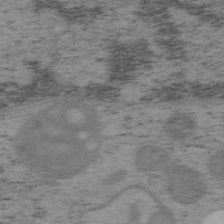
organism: Mouse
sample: OT-I killer T cells with ID8 ovarian cancer cells